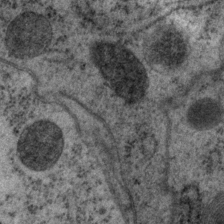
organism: P. pacificus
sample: Pharynx